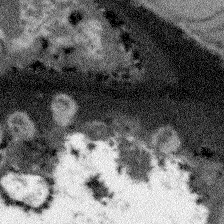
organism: Arabidopsis thaliana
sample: Root tip